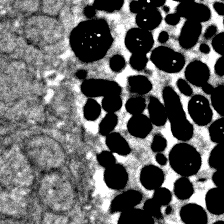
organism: Zebrafish